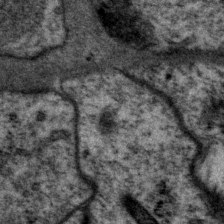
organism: P. pacificus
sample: Pharynx